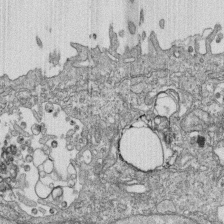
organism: Human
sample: HeLa cell HIV synapse